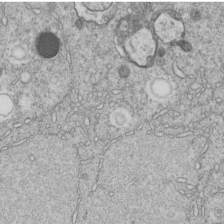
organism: C. elegans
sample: C. elegans embryo early stage